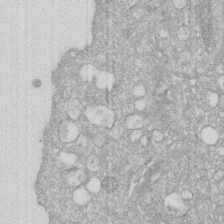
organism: Human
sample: HIV infected U937 cells